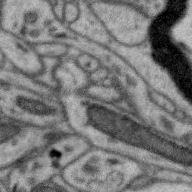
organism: Zebra finch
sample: Brain